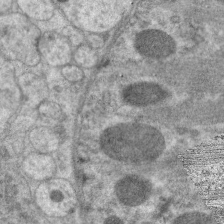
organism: C. elegans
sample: Pharynx